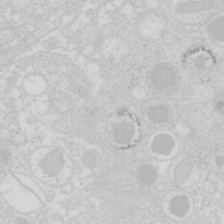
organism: Mouse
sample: Pancreas